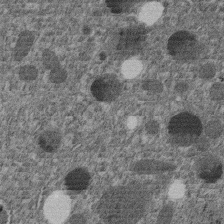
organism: C. elegans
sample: C. elegans embryo early stage